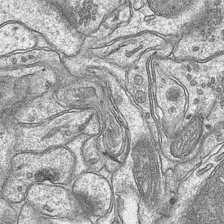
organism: Mouse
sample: CA1 Hippocampus